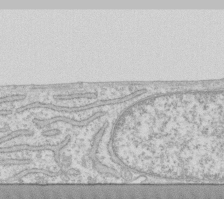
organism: Human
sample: Fibroblast cells